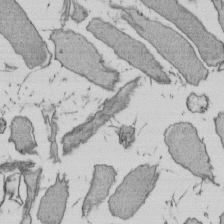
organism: E. coli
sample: Bacterial nucleoid